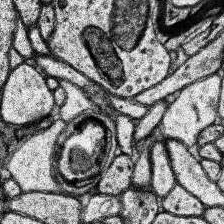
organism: Human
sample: Temporal Lobe